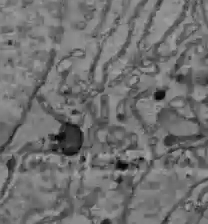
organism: C57BL Mouse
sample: Liver